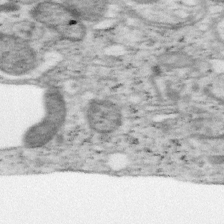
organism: Mouse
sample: OT-I killer T cells with ID8 ovarian cancer cells